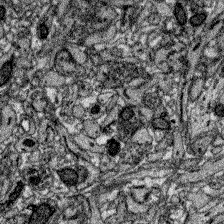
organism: Zebrafish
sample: Larval olfactory bulb